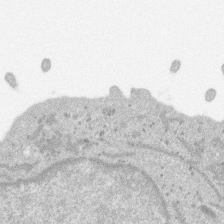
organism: Human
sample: Lung epithelial cells infected with SARS-CoV-2